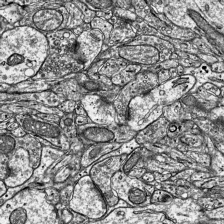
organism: Mouse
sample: Visual Cortex